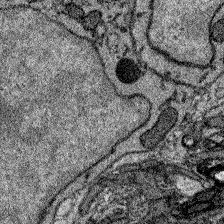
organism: Zebrafish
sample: Larval olfactory bulb